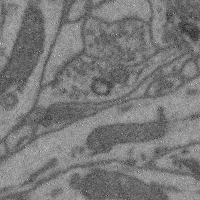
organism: Mouse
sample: Cerebral cortex